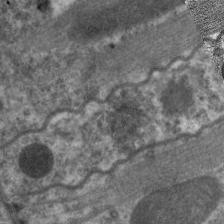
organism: C. elegans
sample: Pharynx